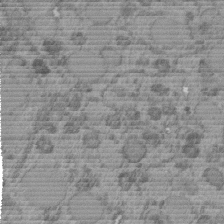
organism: C. elegans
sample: C. elegans embryo early stage